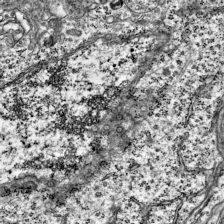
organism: Mouse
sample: Visual Cortex